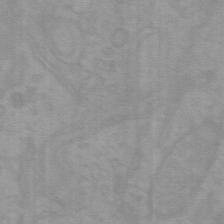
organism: Mouse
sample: Choroid plexus